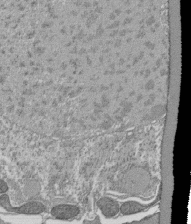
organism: Tetrahymena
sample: Cilia in tetrahymena